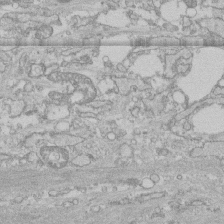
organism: Human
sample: CRL-1474